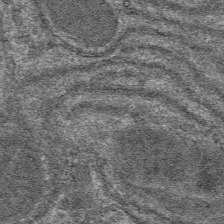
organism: Mouse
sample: Mouse hepatocytes